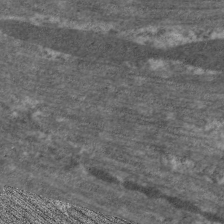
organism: C. elegans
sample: Pharynx